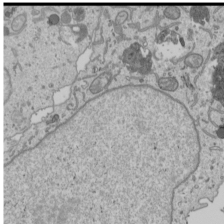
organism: Human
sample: Mitochondria in U2OS cells